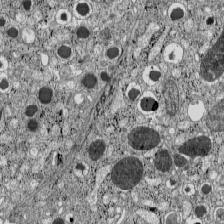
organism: C57BL Mouse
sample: Pancreatic islet